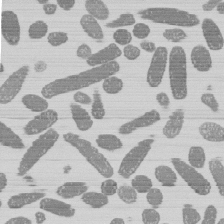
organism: E. coli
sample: Bacterial nucleoid